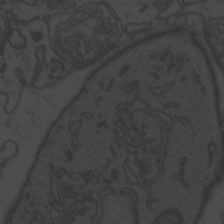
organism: Zebrafish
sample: Macrophage infected with Toxoplasma gondii